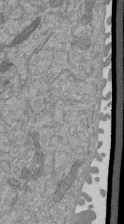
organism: Mouse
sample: ED-1 cell nuclei; centrioles